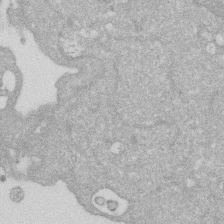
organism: Human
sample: HIV infected U937 cells